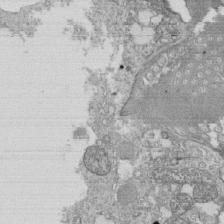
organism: Tetrahymena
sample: Cilia in tetrahymena